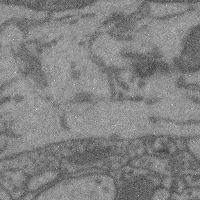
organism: Mouse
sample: Cerebral cortex